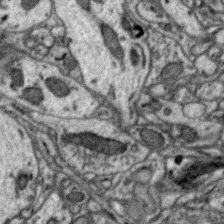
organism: Zebra finch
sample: Brain